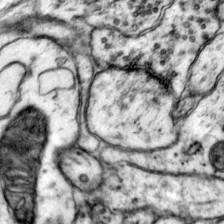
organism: Mouse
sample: Primary visual cortex